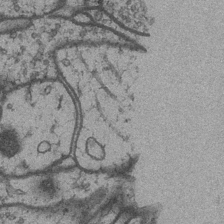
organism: Drosophila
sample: Optic medulla